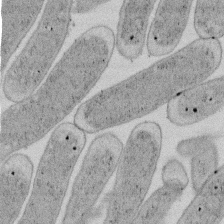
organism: E. coli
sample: Bacterial nucleoid